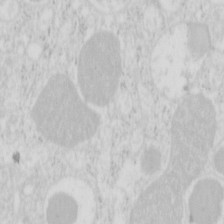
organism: Mouse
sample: Pancreas